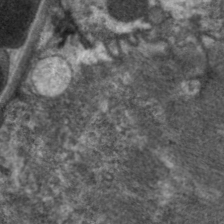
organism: C. elegans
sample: Pharynx